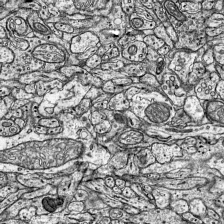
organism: Mouse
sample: Visual Cortex